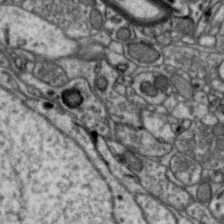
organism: Zebra finch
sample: Brain